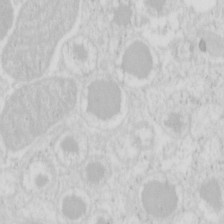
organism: Mouse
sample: Pancreas